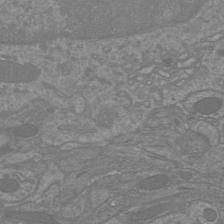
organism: Mouse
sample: Cortical neurons